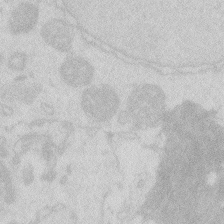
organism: Zebrafish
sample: Macrophage